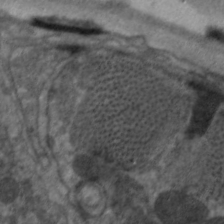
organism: C. elegans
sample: Pharynx